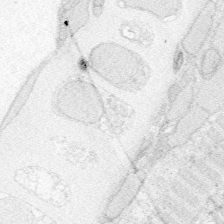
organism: Zebrafish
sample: Whole-Brain